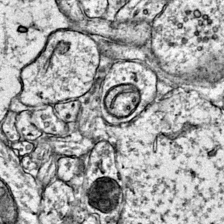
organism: Mouse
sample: Primary visual cortex